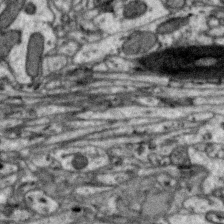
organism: Zebra finch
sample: Brain